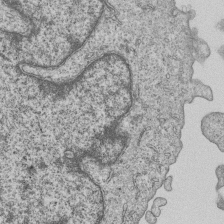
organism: Human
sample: MDA-MB-231 cells